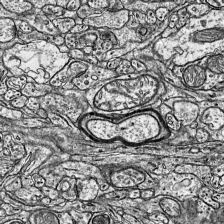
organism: Mouse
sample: Visual Cortex